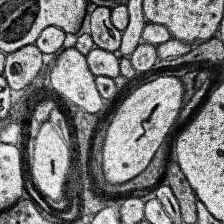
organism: Human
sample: Temporal Lobe